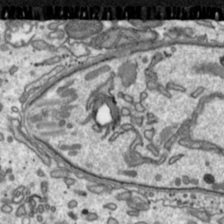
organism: Toxoplasma gondii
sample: Parasites in a vacuole inside a host cell